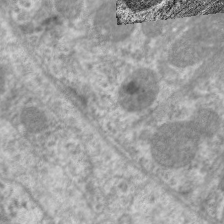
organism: C. elegans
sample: Pharynx